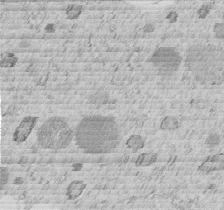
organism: C. elegans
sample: C. elegans embryo early stage